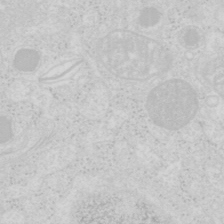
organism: Mouse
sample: Pancreas